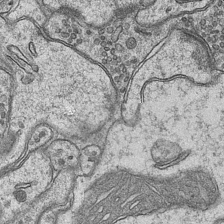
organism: Mouse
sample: CA1 Hippocampus